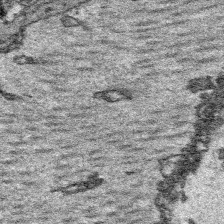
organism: Platynereis dumerilii